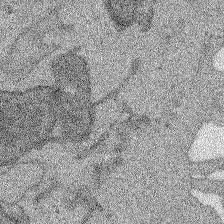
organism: Human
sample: HeLa cells